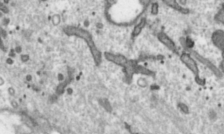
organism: Toxoplasma gondii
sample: Parasites in a vacuole inside a host cell